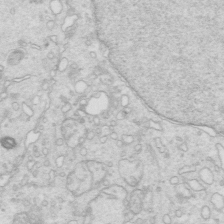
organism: Mouse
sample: Multiciliated cells